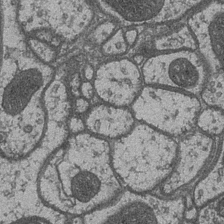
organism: Drosophila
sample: Optic medulla